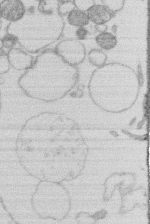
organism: Human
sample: Macrophage cells